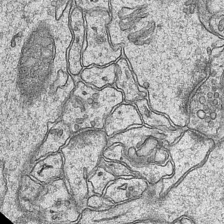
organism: Mouse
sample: CA1 Hippocampus